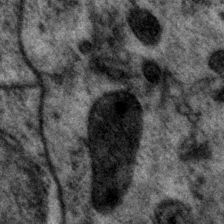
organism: P. pacificus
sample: Pharynx